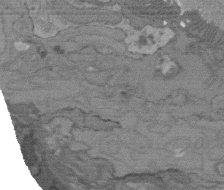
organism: C. elegans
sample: AFD neurons C. elegans